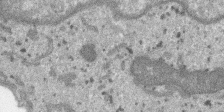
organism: Human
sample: Lung epithelial cells infected with SARS-CoV-2